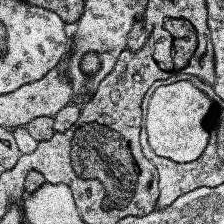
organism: Human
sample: Temporal Lobe